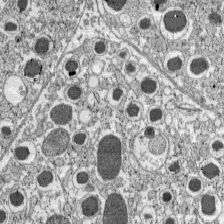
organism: C57BL Mouse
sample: Pancreatic islet